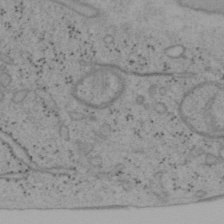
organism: Human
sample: HeLa cells